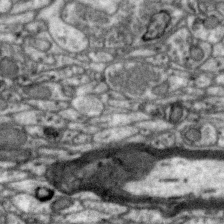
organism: Zebra finch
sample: Brain